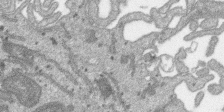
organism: Human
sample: Lung epithelial cells infected with SARS-CoV-2